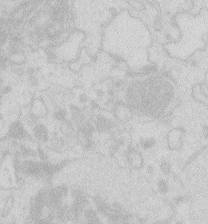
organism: Zebrafish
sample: Macrophage